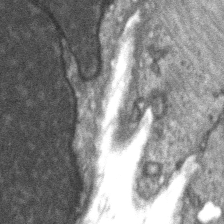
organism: C57BL Mouse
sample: Soleus